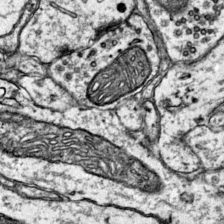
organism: Mouse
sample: Primary visual cortex